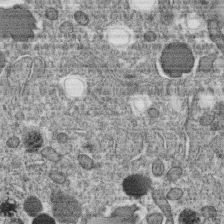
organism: C. elegans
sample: C. elegans oocyte; sperm cells